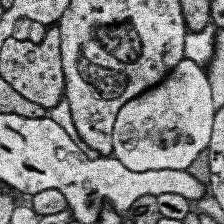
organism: Human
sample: Temporal Lobe